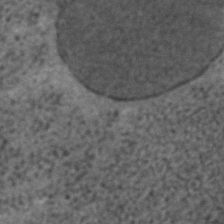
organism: C. elegans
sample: C. elegans embryo